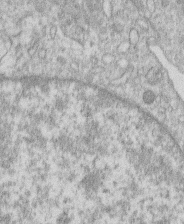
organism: Human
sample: Macrophage cells